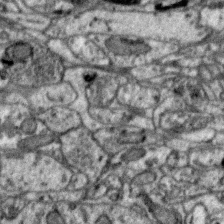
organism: Zebra finch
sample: Brain